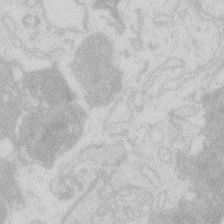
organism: Zebrafish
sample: Macrophage